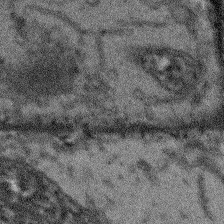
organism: Arabidopsis thaliana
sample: Root tip